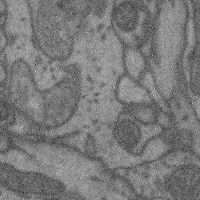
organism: Mouse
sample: Cerebral cortex